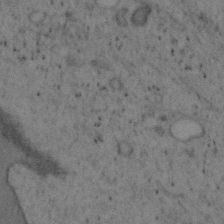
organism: Human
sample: HeLa cells